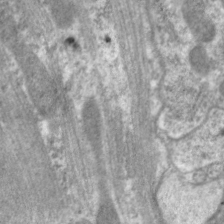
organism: C. elegans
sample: Pharynx